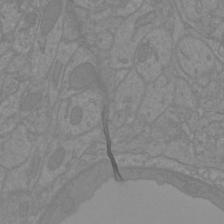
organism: Mouse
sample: Cortical neurons